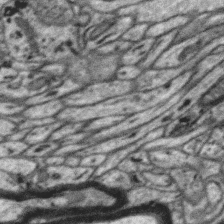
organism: Zebra finch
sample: Brain